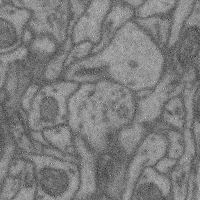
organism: Mouse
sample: Cerebral cortex